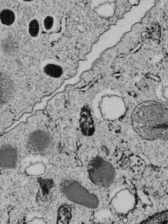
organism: C. elegans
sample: C. elegans embryo early stage